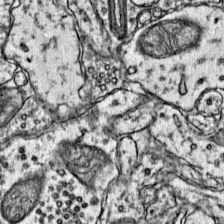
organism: Mouse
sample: Primary visual cortex